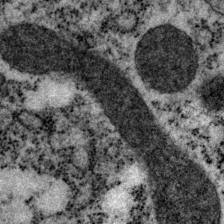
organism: P. pacificus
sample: Pharynx